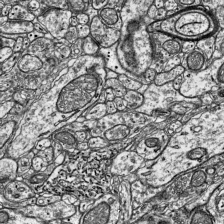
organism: Mouse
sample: Visual Cortex